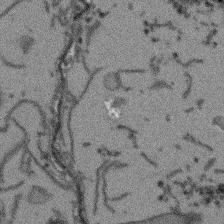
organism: Arabidopsis thaliana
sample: Root tip